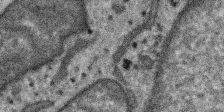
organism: Human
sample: Lung epithelial cells infected with SARS-CoV-2